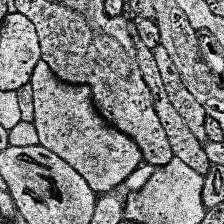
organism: Human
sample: Temporal Lobe